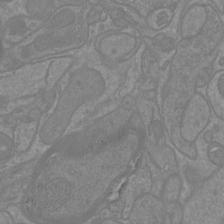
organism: Mouse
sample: Cortical neurons